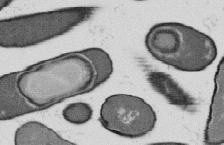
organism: B. subtilis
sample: Bacterial spore